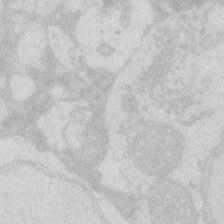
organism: Zebrafish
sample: Macrophage